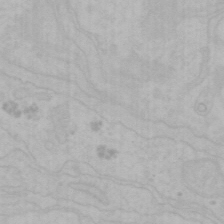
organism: Mouse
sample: Choroid plexus